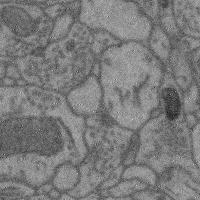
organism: Mouse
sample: Cerebral cortex